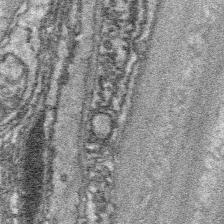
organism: Platynereis dumerilii